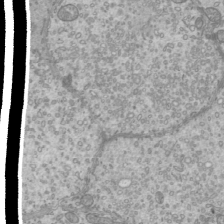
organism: Mouse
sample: Cilia; mouse epididymis